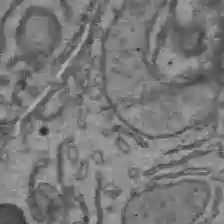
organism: C57BL Mouse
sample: Liver